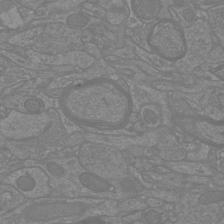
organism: Mouse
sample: Cortical neurons